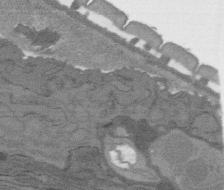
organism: C. elegans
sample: AFD neurons C. elegans